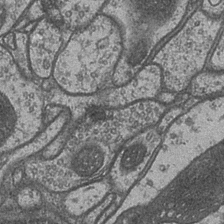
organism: Drosophila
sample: Optic medulla